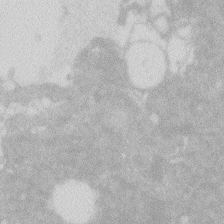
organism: Zebrafish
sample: Macrophage